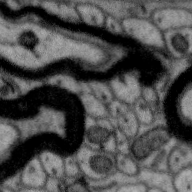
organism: Zebra finch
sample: Brain